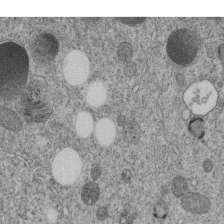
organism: C. elegans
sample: C. elegans embryo early stage